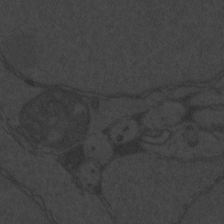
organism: Zebrafish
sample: Macrophage infected with Toxoplasma gondii